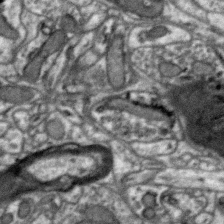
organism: Zebra finch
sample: Brain